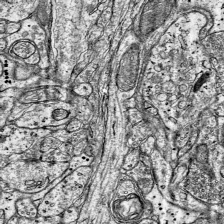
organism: Mouse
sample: Visual Cortex